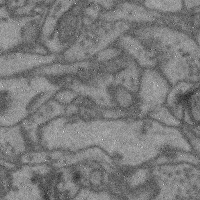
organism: Mouse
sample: Cerebral cortex